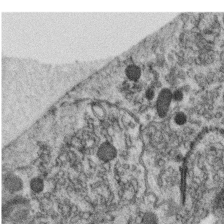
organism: C. elegans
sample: C. elegans oocyte; sperm cells